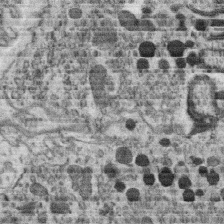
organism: C. elegans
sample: C. elegans oocyte; sperm cells